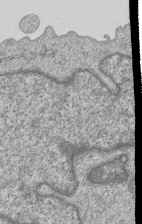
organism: Human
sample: MDA-MB-231 cells